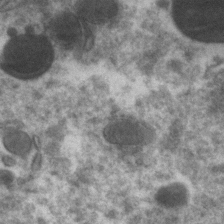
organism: Zebrafish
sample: Zebrafish embryo